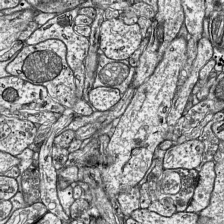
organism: Mouse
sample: Visual Cortex